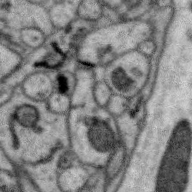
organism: Zebra finch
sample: Brain